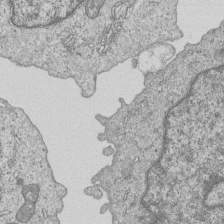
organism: Human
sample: MDA-MB-231 cells